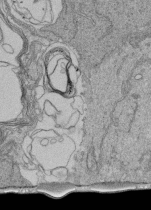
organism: Human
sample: Retinal organoid Rod and Cone cells